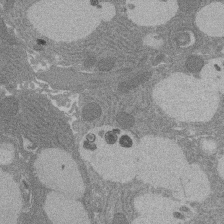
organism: Rat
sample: Salivary granule